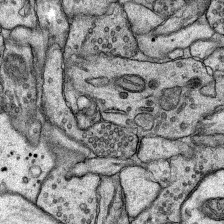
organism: Rat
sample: Hippocampus